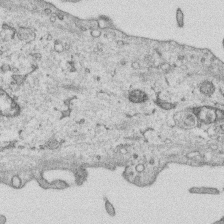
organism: Human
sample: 1205lu cells